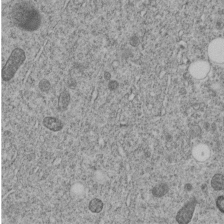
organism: C. elegans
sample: C. elegans embryo early stage